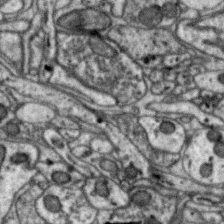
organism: Zebra finch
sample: Brain